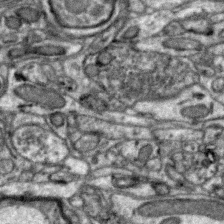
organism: Zebra finch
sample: Brain